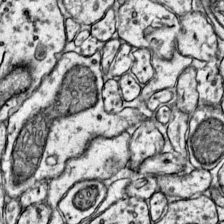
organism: Mouse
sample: Primary visual cortex